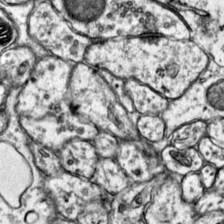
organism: Mouse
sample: Primary visual cortex